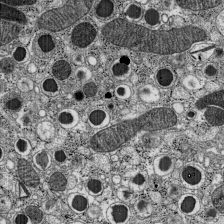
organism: C57BL Mouse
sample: Pancreatic islet